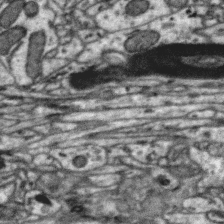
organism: Zebra finch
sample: Brain